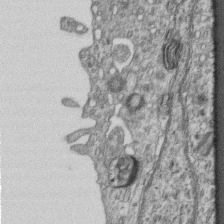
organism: Mouse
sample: Centriole in ependymal cells